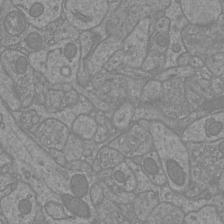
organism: Mouse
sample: Cortical neurons